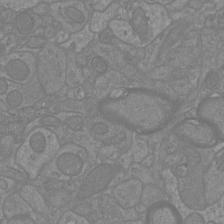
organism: Mouse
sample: Cortical neurons